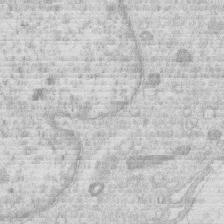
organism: Human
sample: Macrophage cells